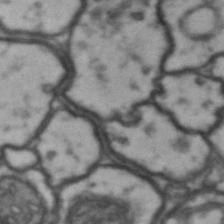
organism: Drosophila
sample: Brain